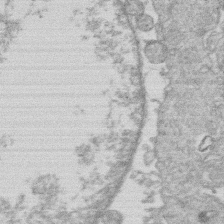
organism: Human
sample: Macrophage cells